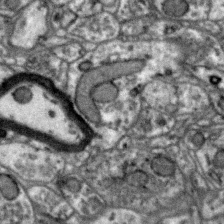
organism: Zebra finch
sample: Brain